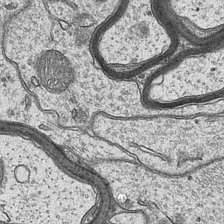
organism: Mouse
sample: CA1 Hippocampus